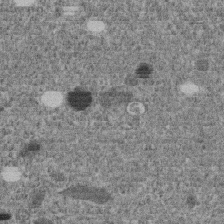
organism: C. elegans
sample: C. elegans embryo early stage